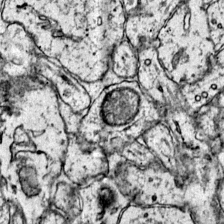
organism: Mouse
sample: Primary visual cortex